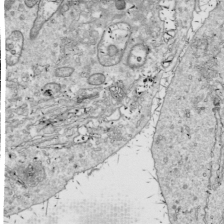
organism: Drosophila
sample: Cell division; meiosis; drosophila spermatocytes